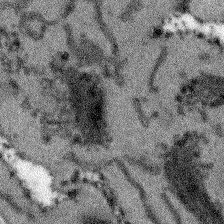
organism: Arabidopsis thaliana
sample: Root tip